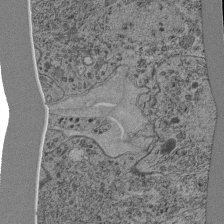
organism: C. elegans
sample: C. elegans pharynx